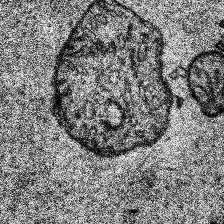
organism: Human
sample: Temporal Lobe